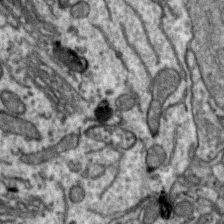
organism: Zebra finch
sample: Brain